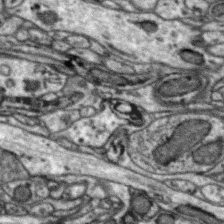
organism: Zebra finch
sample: Brain